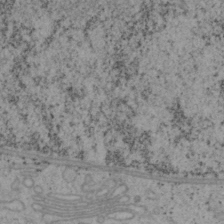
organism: Human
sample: HeLa cells